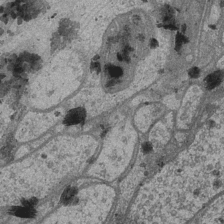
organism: Drosophila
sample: Optic medulla